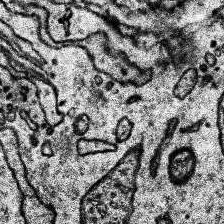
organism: Human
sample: Temporal Lobe